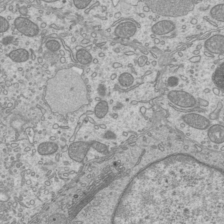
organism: Mouse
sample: Cilia; mouse epididymis